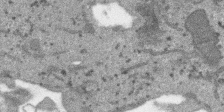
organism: Human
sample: Lung epithelial cells infected with SARS-CoV-2